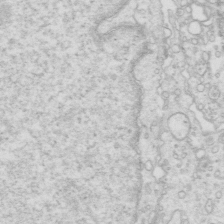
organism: Mouse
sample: Multiciliated cells